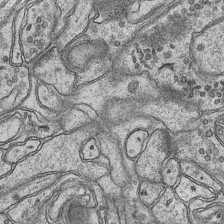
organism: Mouse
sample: CA1 Hippocampus